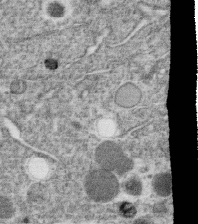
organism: C. elegans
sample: C. elegans oocyte; sperm cells